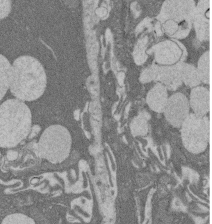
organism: Rat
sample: Salivary granule